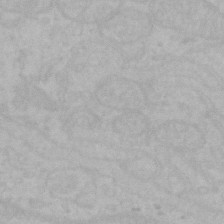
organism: Mouse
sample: Choroid plexus